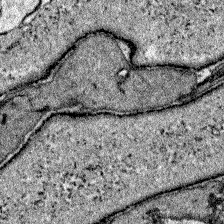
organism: Zebrafish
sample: Larval olfactory bulb